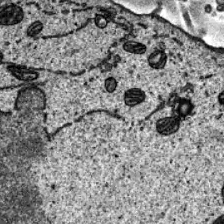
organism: Human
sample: HeLa cells